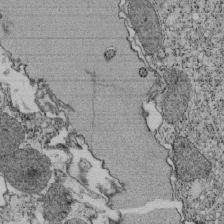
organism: Tetrahymena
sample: Cilia in tetrahymena